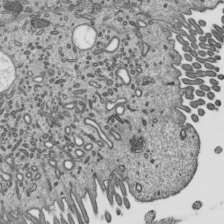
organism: Mouse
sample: Mouse epididymis efferent ductule cilia